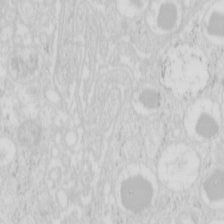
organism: Mouse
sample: Pancreas